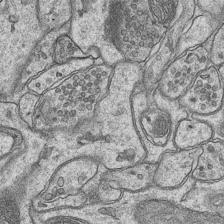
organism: Mouse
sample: CA1 Hippocampus